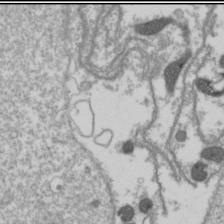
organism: Drosophila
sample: Cell division; meiosis; drosophila spermatocytes